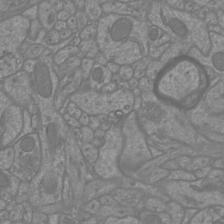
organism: Mouse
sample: Cortical neurons